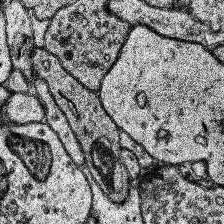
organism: Human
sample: Temporal Lobe